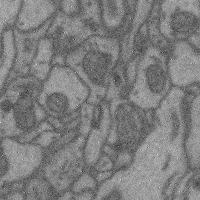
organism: Mouse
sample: Cerebral cortex